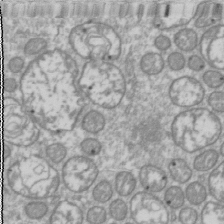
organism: Drosophila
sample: Cell division; meiosis; drosophila spermatocytes